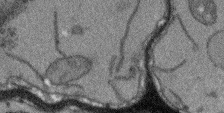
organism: Arabidopsis thaliana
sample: Root tip